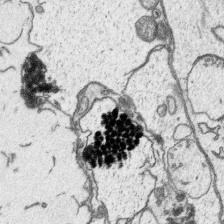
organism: Platynereis dumerilii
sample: Parapodia